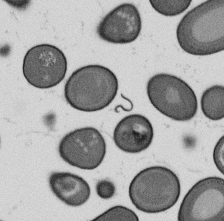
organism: B. subtilis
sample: Bacterial spore